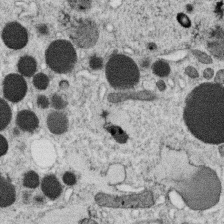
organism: C. elegans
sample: C. elegans oocyte; sperm cells